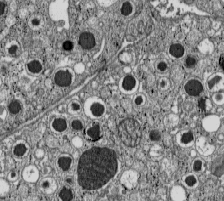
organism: C57BL Mouse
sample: Pancreatic islet